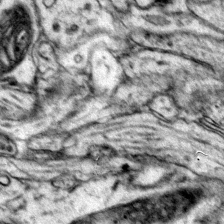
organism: Mouse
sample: Primary visual cortex